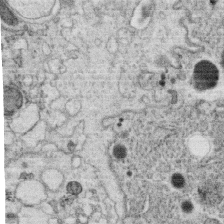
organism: C. elegans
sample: C. elegans oocyte; sperm cells